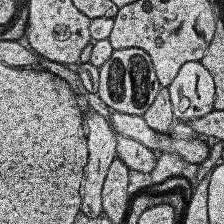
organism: Human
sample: Temporal Lobe